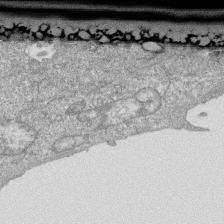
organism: Human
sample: HeLa cell HIV synapse